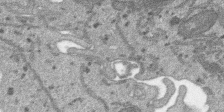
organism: Human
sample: Lung epithelial cells infected with SARS-CoV-2